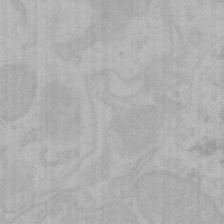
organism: Mouse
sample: Choroid plexus